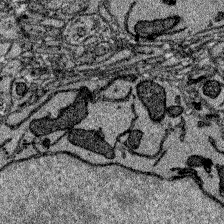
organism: Zebrafish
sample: Larval olfactory bulb